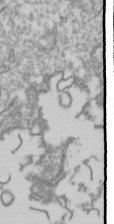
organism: Drosophila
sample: Cell division; meiosis; drosophila spermatocytes